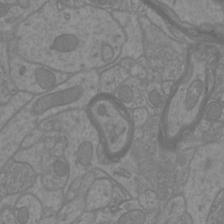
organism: Mouse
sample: Cortical neurons